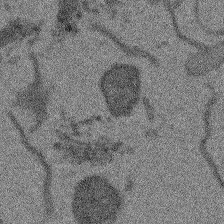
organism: Arabidopsis thaliana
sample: Root tip